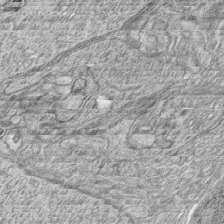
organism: Zebrafish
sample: synaptic ribbons in rod cells and cone cells